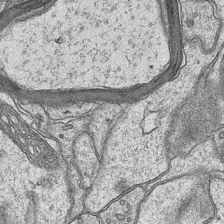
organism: Mouse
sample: CA1 Hippocampus